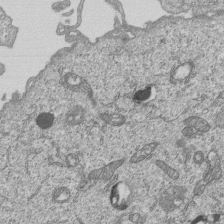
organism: Human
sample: MDA-MB-231 cells